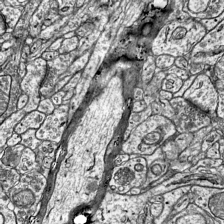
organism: Mouse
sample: Visual Cortex